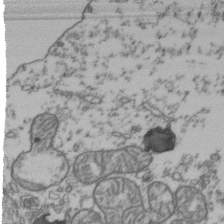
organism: Human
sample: Activated Jurkat CD4+ T cells